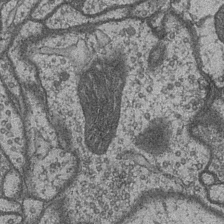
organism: Drosophila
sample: Optic medulla